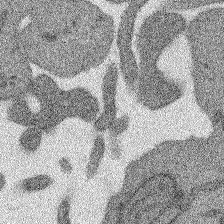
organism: Human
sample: HeLa cells